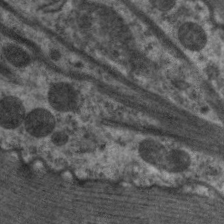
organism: C. elegans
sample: Pharynx